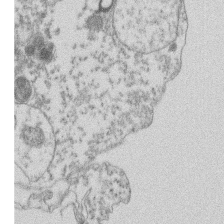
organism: Human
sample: HeLa cell HIV synapse